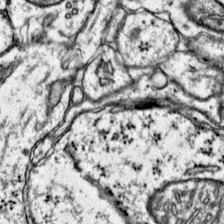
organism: Mouse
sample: Primary visual cortex